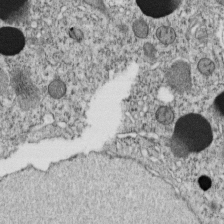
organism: C. elegans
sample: C. elegans embryo early stage